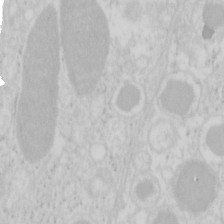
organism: Mouse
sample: Pancreas